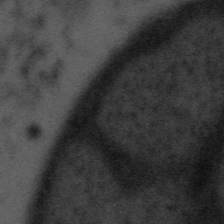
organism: Tuwongella immobilis